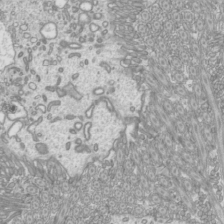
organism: Mouse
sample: Cilia; mouse epididymis